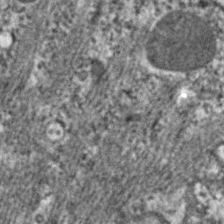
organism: C. elegans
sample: Pharynx